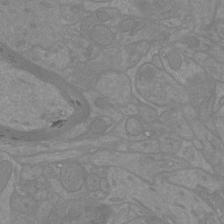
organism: Mouse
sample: Cortical neurons